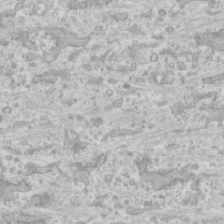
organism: Human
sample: CRL-1474